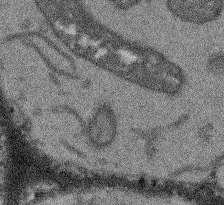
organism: Arabidopsis thaliana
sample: Root tip